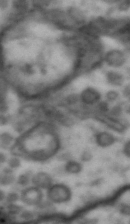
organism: Drosophila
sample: Brain